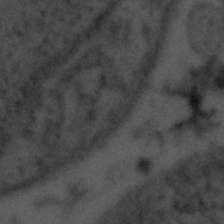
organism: Tuwongella immobilis